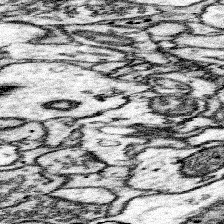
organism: Mouse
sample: Somatosensory cortex neuropil